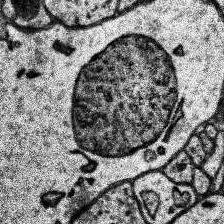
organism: Human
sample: Temporal Lobe